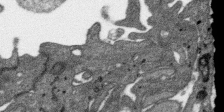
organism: Human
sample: Lung epithelial cells, uninfected (mock) control